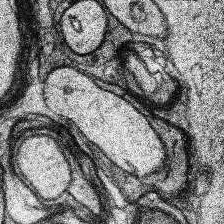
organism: Human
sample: Temporal Lobe